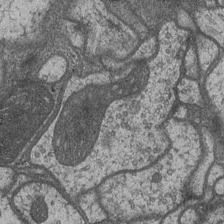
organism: Drosophila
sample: Optic medulla